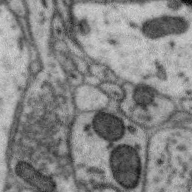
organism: Zebra finch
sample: Brain